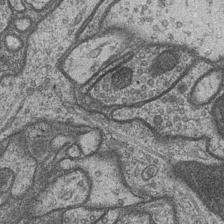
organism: Drosophila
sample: Optic medulla